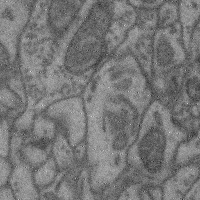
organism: Mouse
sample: Cerebral cortex